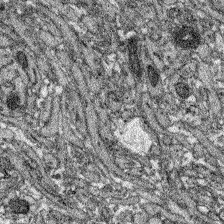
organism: Zebrafish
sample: Larval olfactory bulb